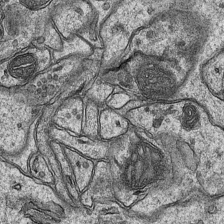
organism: Mouse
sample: CA1 Hippocampus